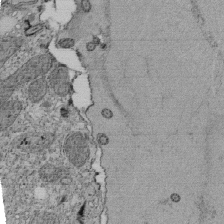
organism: Tetrahymena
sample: Cilia in tetrahymena